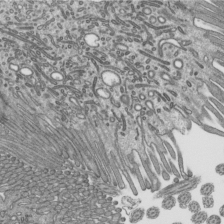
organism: Mouse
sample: Mouse epididymis efferent ductule cilia